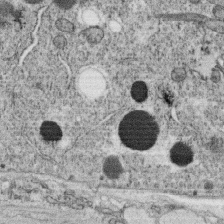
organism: C. elegans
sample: C. elegans oocyte; sperm cells